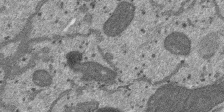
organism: Human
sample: Lung epithelial cells infected with SARS-CoV-2